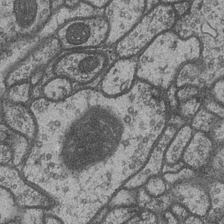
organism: Drosophila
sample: Optic medulla